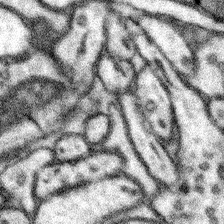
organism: Mouse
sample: Somatosensory cortex neuropil